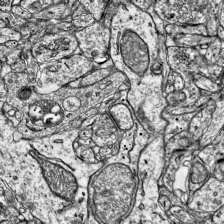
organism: Mouse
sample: Visual Cortex